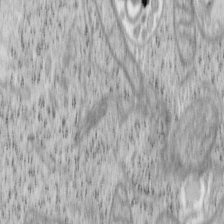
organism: Human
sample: HeLa cells